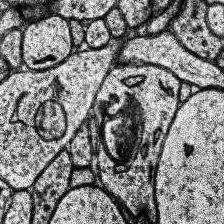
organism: Human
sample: Temporal Lobe